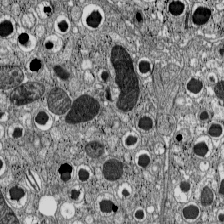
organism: C57BL Mouse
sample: Pancreatic islet